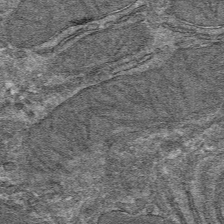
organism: Mouse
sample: Mouse hepatocytes